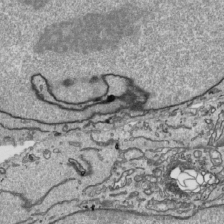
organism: Human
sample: Mitochondria in HCT116 cells